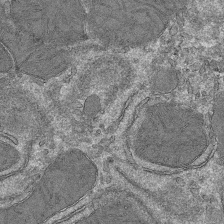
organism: Mouse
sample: Mouse hepatocytes